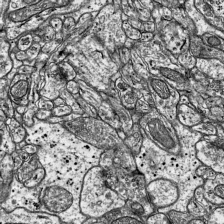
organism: Mouse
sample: Visual Cortex